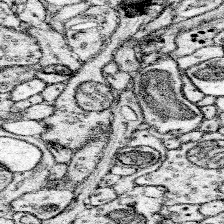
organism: Mouse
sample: Somatosensory cortex neuropil